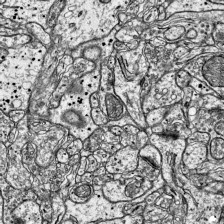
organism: Mouse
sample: Visual Cortex